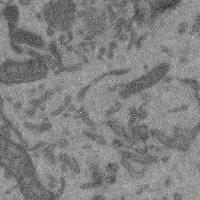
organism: Mouse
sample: Cerebral cortex